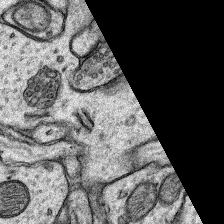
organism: Rat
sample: Hippocampus